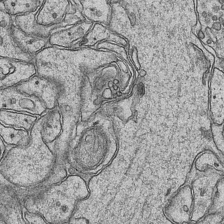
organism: Mouse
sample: CA1 Hippocampus